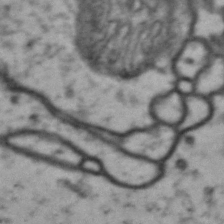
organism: Drosophila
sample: Brain